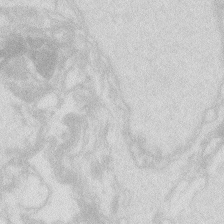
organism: Zebrafish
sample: Macrophage